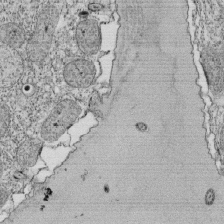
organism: Tetrahymena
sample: Cilia in tetrahymena